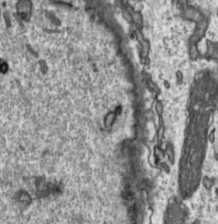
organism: Toxoplasma gondii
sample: Parasites in a vacuole inside a host cell